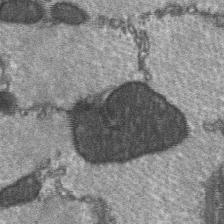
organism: C57BL Mouse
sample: Soleus